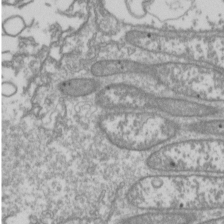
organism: Drosophila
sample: Cell division; meiosis; drosophila spermatocytes